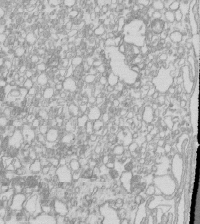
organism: Mouse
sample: Macrophages